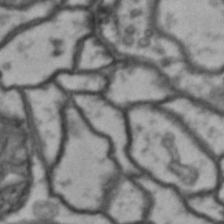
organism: Drosophila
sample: Brain